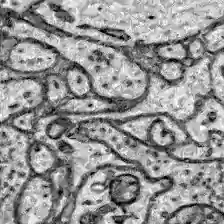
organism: Zebrafish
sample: Brain